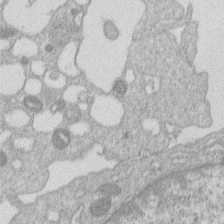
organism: Human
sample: Macrophage cells